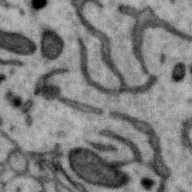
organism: Zebra finch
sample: Brain